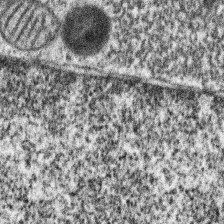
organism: Human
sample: HeLa cells